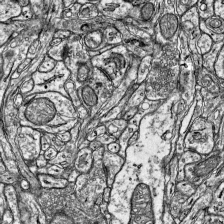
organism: Mouse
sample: Visual Cortex